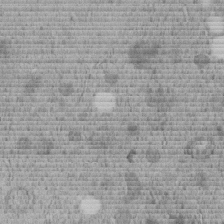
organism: C. elegans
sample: C. elegans embryo early stage